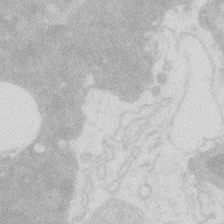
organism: Zebrafish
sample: Macrophage